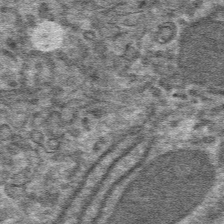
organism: Mouse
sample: Mouse hepatocytes